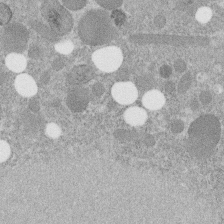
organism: C. elegans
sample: C. elegans embryo early stage